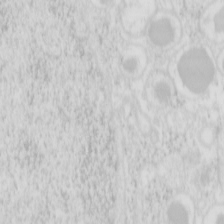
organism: Mouse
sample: Pancreas